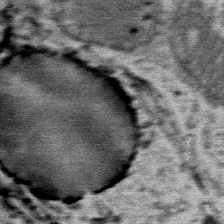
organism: Mouse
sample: Mouse Salivary gland